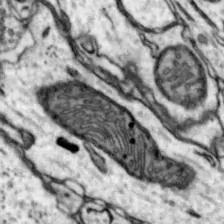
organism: Mouse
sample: Nucleus accumbens